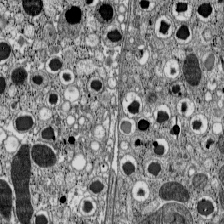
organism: C57BL Mouse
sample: Pancreatic islet